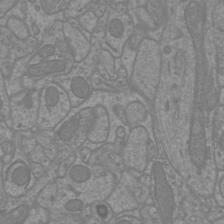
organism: Mouse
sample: Cortical neurons